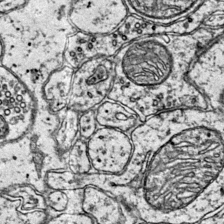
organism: Mouse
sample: Primary visual cortex